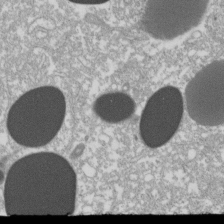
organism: Xenopus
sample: Cilia; centrioles in frog embryo cells